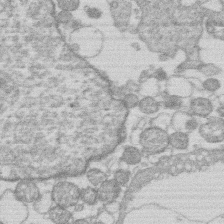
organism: Human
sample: Macrophage cells